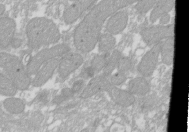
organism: Xenopus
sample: Cilia; centrioles in frog embryo cells